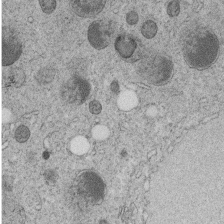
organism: C. elegans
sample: C. elegans embryo early stage